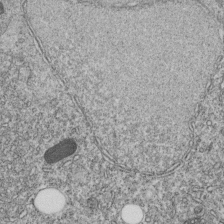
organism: C. elegans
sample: C. elegans embryo early stage